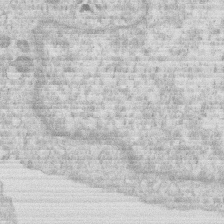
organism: Human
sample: Macrophage cells